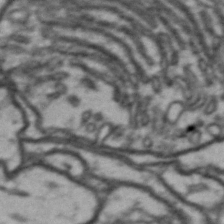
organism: Drosophila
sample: Brain